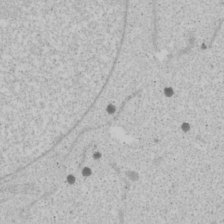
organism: Human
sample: Mitochondria in U2OS cells